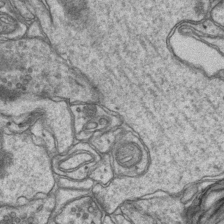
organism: Mouse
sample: CA1 Hippocampus